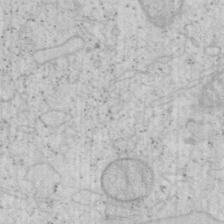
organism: Human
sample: HeLa cells